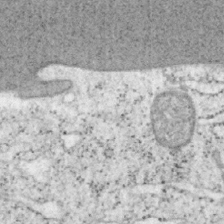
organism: Mouse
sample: OT-I killer T cells with ID8 ovarian cancer cells